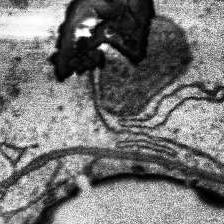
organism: Human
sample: Temporal Lobe